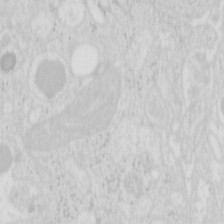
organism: Mouse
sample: Pancreas